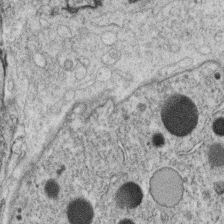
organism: C. elegans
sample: C. elegans oocyte; sperm cells